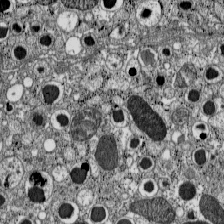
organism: C57BL Mouse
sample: Pancreatic islet